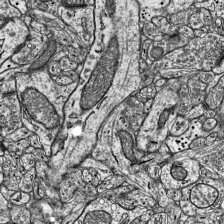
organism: Mouse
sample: Visual Cortex